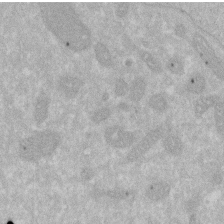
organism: Human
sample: HIV infected U937 cells